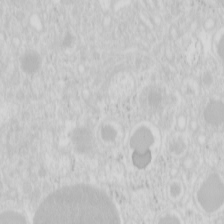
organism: Mouse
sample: Pancreas